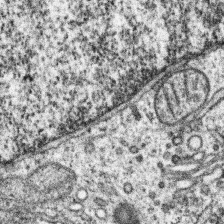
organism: Human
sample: HeLa cells